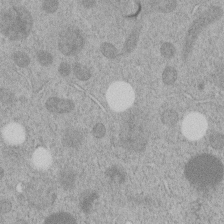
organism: C. elegans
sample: C. elegans embryo early stage